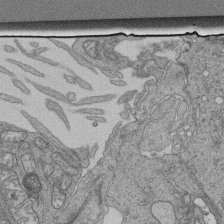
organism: Human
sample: Retinal organoid Rod and Cone cells